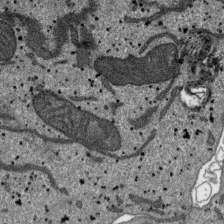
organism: Human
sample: Lung epithelial cells, uninfected (mock) control